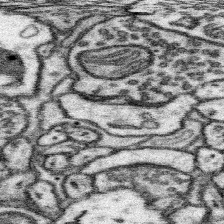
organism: Mouse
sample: Somatosensory cortex neuropil